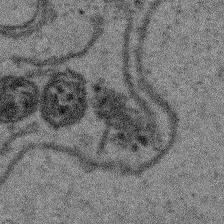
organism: Arabidopsis thaliana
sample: Root tip